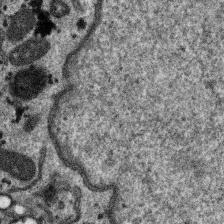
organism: Human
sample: Lung epithelial cells infected with SARS-CoV-2